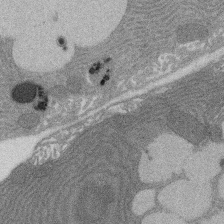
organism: Rat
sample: Salivary granule